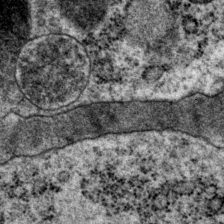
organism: P. pacificus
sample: Pharynx